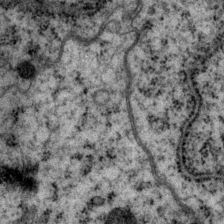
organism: P. pacificus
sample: Pharynx